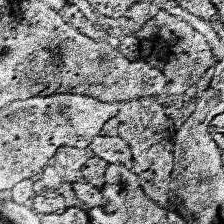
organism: Human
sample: Temporal Lobe